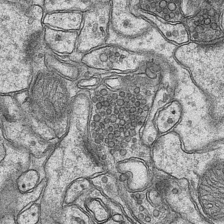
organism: Mouse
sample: CA1 Hippocampus